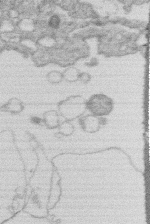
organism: Human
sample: Macrophage cells